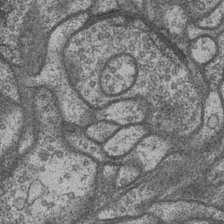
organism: Drosophila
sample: Optic medulla